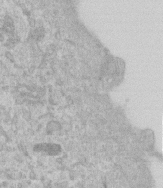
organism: Human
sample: Centriole in RPE cells